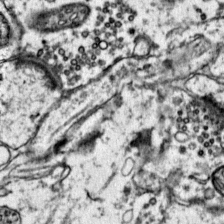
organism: Mouse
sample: Primary visual cortex